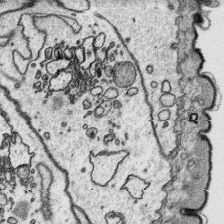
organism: Platynereis dumerilii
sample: Parapodia